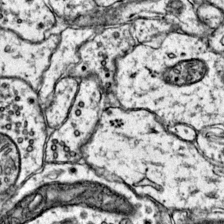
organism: Mouse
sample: Primary visual cortex